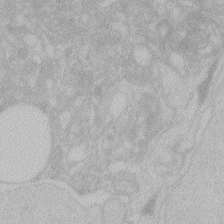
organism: Zebrafish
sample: Macrophage infected with Toxoplasma gondii